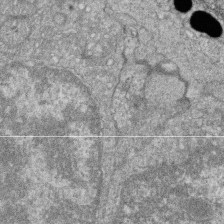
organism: Zebrafish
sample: Cilia; retinal pigment epithelium